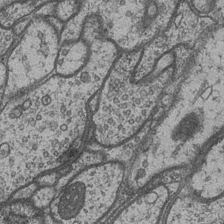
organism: Drosophila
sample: Optic medulla